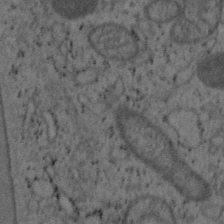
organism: Human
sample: HeLa cells